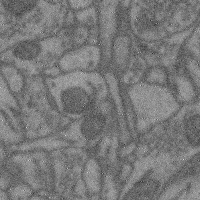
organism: Mouse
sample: Cerebral cortex